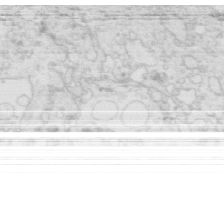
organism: Mouse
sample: Multiciliated cells